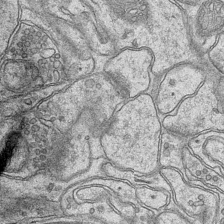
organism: Mouse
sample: CA1 Hippocampus